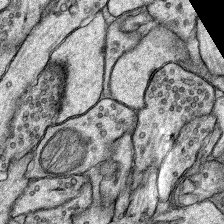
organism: Rat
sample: Hippocampus